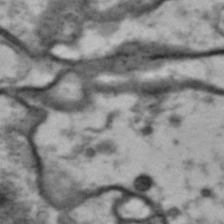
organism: Drosophila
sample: Brain